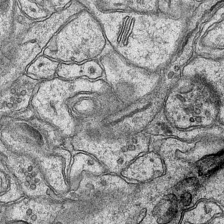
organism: Mouse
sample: CA1 Hippocampus